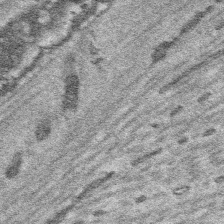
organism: Platynereis dumerilii